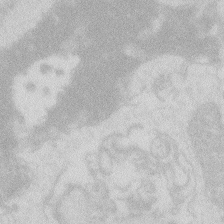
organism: Zebrafish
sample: Macrophage